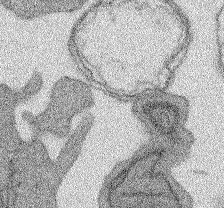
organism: Human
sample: HeLa cells